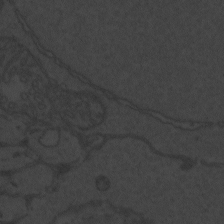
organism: Zebrafish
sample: Macrophage infected with Toxoplasma gondii